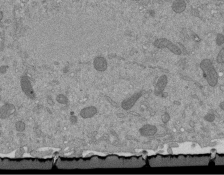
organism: Mouse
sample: ED-1 cell nuclei; centrioles